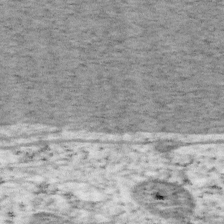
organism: Mouse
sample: OT-I killer T cells with ID8 ovarian cancer cells